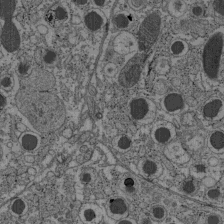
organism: C57BL Mouse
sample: Pancreatic islet